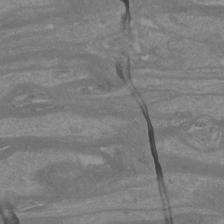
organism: Mouse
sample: Cortical neurons